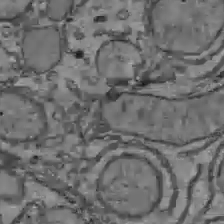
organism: C57BL Mouse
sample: Liver